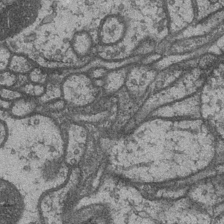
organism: Drosophila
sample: Optic medulla